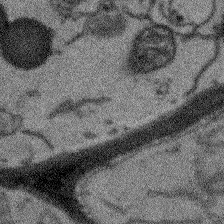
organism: Arabidopsis thaliana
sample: Root tip